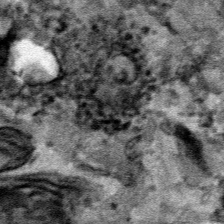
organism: Human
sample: Mitochondria in HCT116 cells